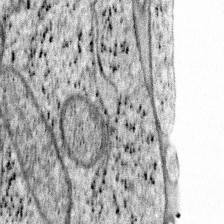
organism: Human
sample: HeLa cells